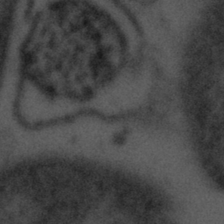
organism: Tuwongella immobilis